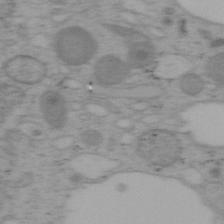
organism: Mouse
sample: OT-I killer T cells with ID8 ovarian cancer cells